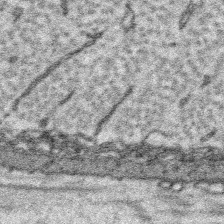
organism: Platynereis dumerilii